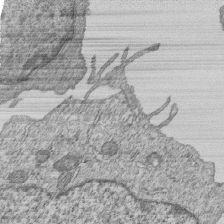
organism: Human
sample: MDA-MB-231 cells